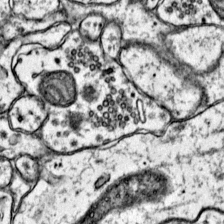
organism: Mouse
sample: Primary visual cortex